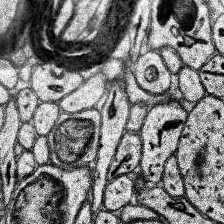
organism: Human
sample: Temporal Lobe